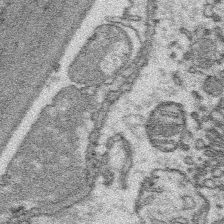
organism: Platynereis dumerilii